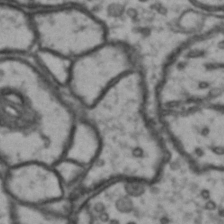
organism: Drosophila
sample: Brain